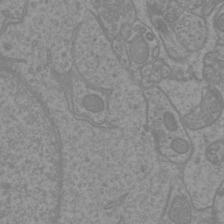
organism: Mouse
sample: Cortical neurons